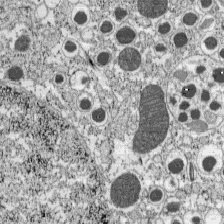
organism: C57BL Mouse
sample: Pancreatic islet